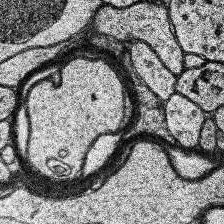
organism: Human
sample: Temporal Lobe